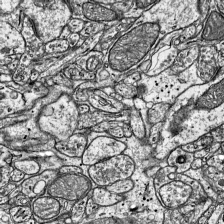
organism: Mouse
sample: Visual Cortex